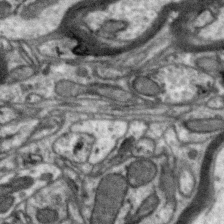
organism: Zebra finch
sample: Brain